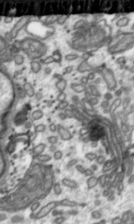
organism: Toxoplasma gondii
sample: Parasites in a vacuole inside a host cell